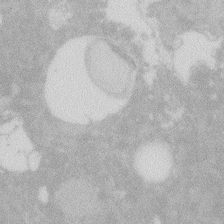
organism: Zebrafish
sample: Macrophage